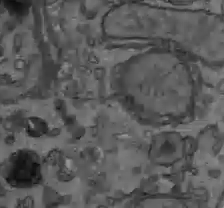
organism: C57BL Mouse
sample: Liver